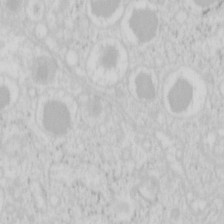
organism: Mouse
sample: Pancreas